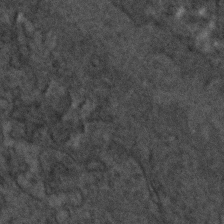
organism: C. elegans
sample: C. elegans embryo